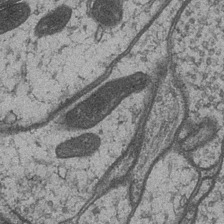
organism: Drosophila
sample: Optic medulla